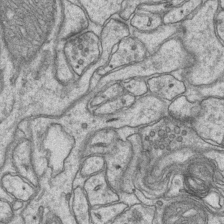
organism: Mouse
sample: CA1 Hippocampus